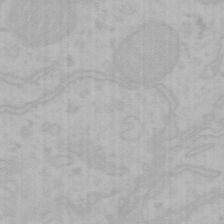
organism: Mouse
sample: Choroid plexus